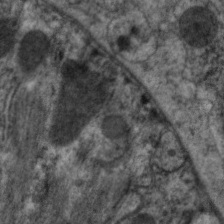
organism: C. elegans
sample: Pharynx